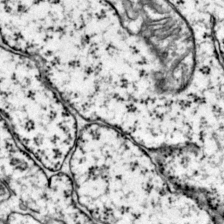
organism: Mouse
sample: Primary visual cortex